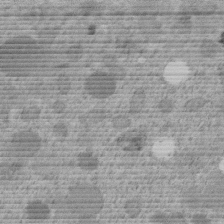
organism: C. elegans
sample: C. elegans embryo early stage